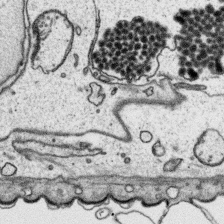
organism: Platynereis dumerilii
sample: Parapodia